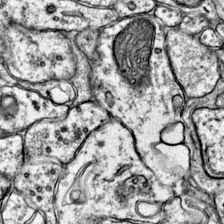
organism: Mouse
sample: Primary visual cortex